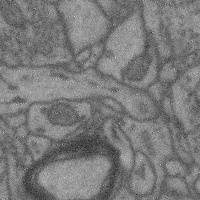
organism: Mouse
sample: Cerebral cortex